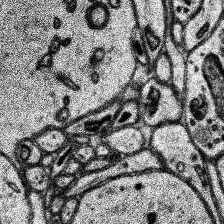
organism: Human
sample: Temporal Lobe